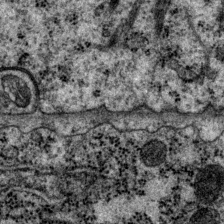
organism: P. pacificus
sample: Pharynx